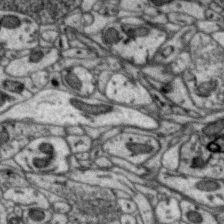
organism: Zebra finch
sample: Brain